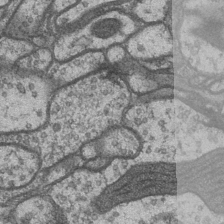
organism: Drosophila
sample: Optic medulla